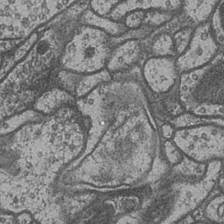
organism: Drosophila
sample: Optic medulla